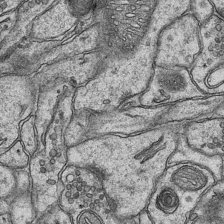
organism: Mouse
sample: CA1 Hippocampus